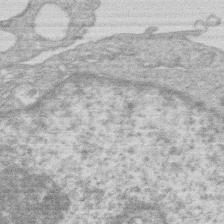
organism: Human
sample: Macrophage cells